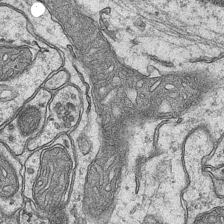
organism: Mouse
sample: CA1 Hippocampus